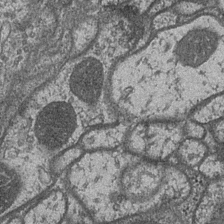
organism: Drosophila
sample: Optic medulla